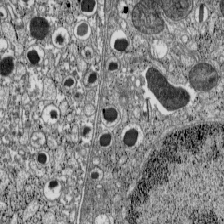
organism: C57BL Mouse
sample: Pancreatic islet